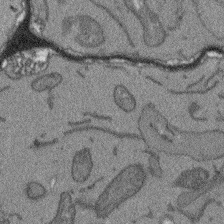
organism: Arabidopsis thaliana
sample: Root tip